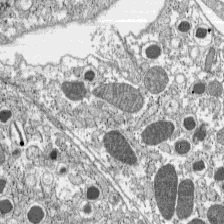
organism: C57BL Mouse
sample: Pancreatic islet